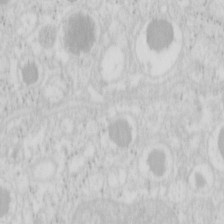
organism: Mouse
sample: Pancreas